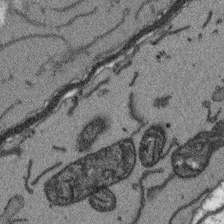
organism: Arabidopsis thaliana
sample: Root tip